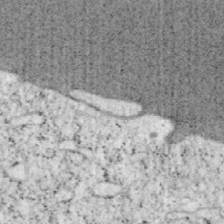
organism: Mouse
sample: OT-I killer T cells with ID8 ovarian cancer cells